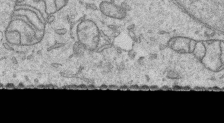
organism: Human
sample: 1205lu cells